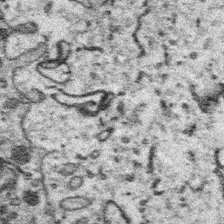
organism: Platynereis dumerilii